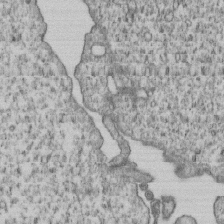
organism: Human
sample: MDA-MB-231 cells